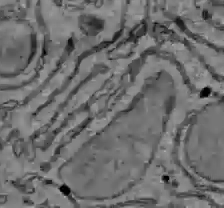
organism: C57BL Mouse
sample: Liver